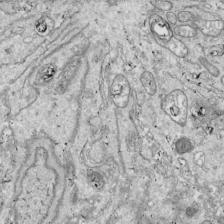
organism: Drosophila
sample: Cell division; meiosis; drosophila spermatocytes